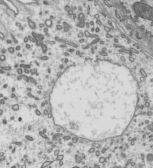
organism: Mouse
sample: Mouse epididymis efferent ductule cilia